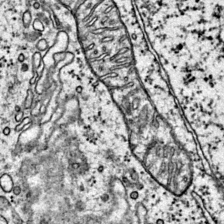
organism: Mouse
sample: Primary visual cortex